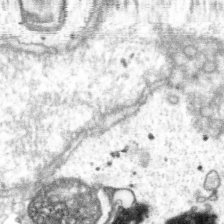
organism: Human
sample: HeLa cells